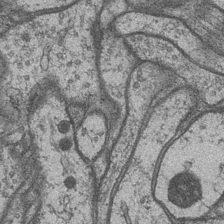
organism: Drosophila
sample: Optic medulla